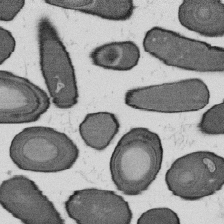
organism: B. subtilis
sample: Bacterial spore